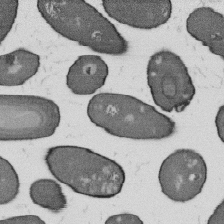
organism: B. subtilis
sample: Bacterial spore